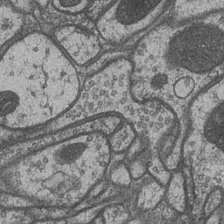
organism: Drosophila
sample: Optic medulla